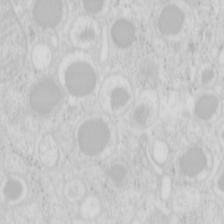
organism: Mouse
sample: Pancreas